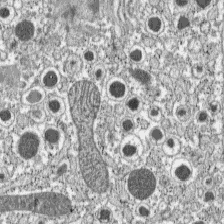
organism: C57BL Mouse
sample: Pancreatic islet